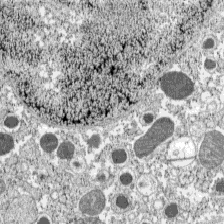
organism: C57BL Mouse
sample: Pancreatic islet